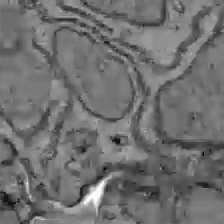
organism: C57BL Mouse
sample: Liver